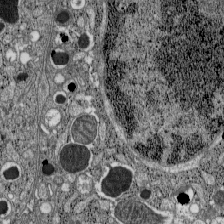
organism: C57BL Mouse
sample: Pancreatic islet